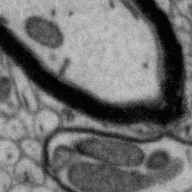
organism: Zebra finch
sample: Brain